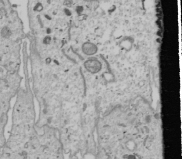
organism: Human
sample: Mitochondria in U2OS cells